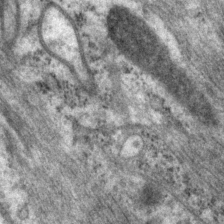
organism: P. pacificus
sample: Pharynx